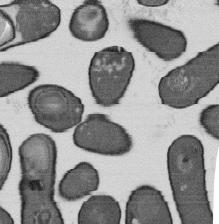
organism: B. subtilis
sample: Bacterial spore